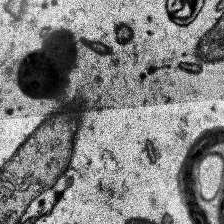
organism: Human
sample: Temporal Lobe